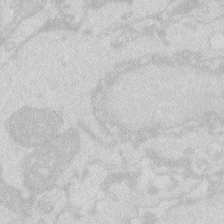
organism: Zebrafish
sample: Macrophage